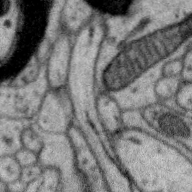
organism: Zebra finch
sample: Brain